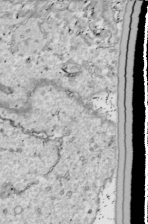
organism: Drosophila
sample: Cell division; meiosis; drosophila spermatocytes